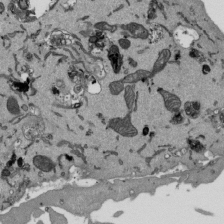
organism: Mouse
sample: ED-1 cell nuclei; centrioles